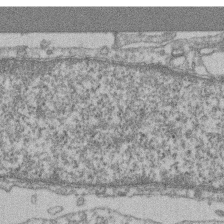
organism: Mouse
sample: T cell stromal cell synapse